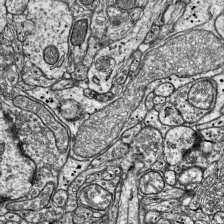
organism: Mouse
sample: Visual Cortex